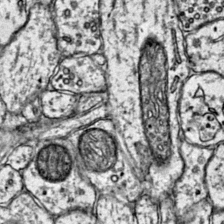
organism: Mouse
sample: Primary visual cortex